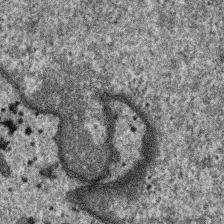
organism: Human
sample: Lung epithelial cells infected with SARS-CoV-2